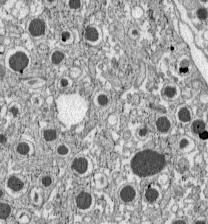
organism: C57BL Mouse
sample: Pancreatic islet